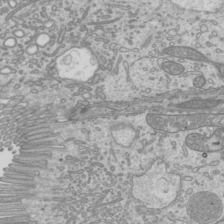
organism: Mouse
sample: Cilia; mouse epididymis